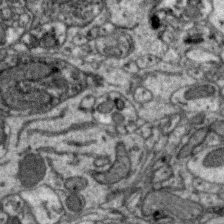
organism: Zebra finch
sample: Brain